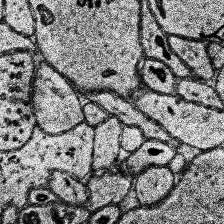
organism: Human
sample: Temporal Lobe